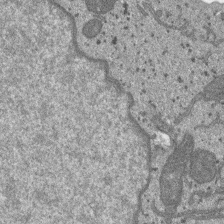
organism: Human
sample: Lung epithelial cells infected with SARS-CoV-2